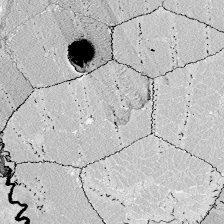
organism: Zebrafish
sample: Whole-Brain